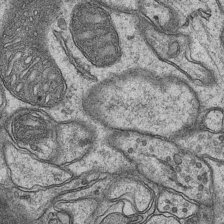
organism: Mouse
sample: CA1 Hippocampus